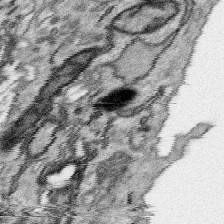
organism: Human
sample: HeLa cells